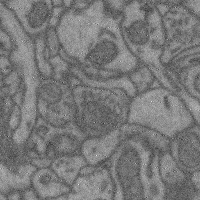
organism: Mouse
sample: Cerebral cortex